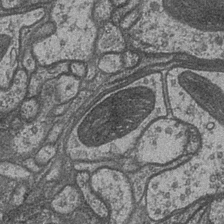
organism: Drosophila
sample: Optic medulla